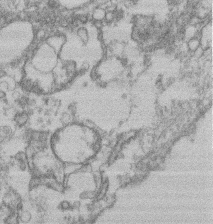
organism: Mouse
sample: T cell stromal cell synapse